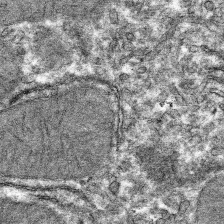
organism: Mouse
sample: Mouse hepatocytes